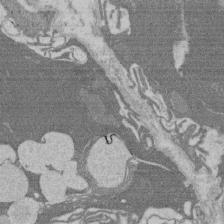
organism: Rat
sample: Salivary granule